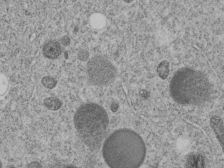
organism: C. elegans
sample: C. elegans embryo early stage